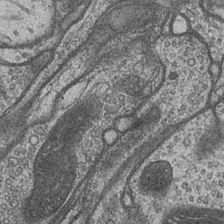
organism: Drosophila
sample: Optic medulla